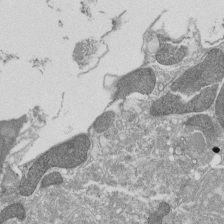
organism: Tetrahymena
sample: Cilia in tetrahymena